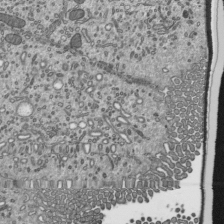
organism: Mouse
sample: Mouse epididymis efferent ductule cilia